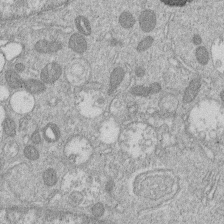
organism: Human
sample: Macrophage cells